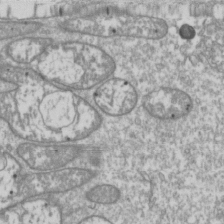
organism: Drosophila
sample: Cell division; meiosis; drosophila spermatocytes